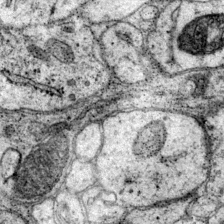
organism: Mouse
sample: Primary visual cortex